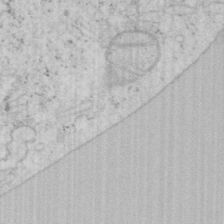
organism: Human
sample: HeLa cells